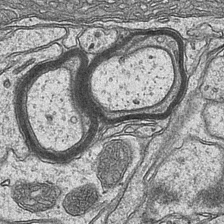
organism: Mouse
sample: CA1 Hippocampus